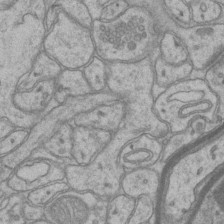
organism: Mouse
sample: CA1 Hippocampus